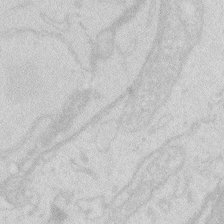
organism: Zebrafish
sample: Macrophage